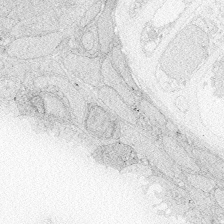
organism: Zebrafish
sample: Whole-Brain